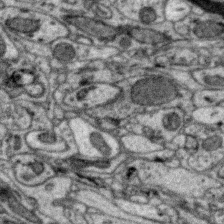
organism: Zebra finch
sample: Brain